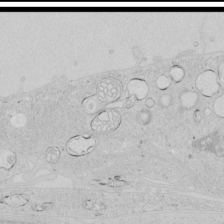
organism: Human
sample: Mitochondria in HCT116 cells